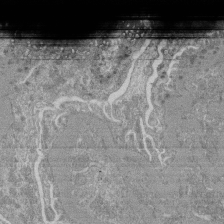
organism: Mouse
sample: Glomerulus